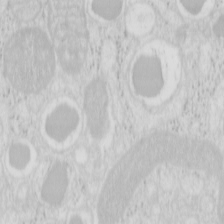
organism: Mouse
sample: Pancreas